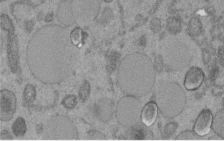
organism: C. elegans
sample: C. elegans embryo early stage